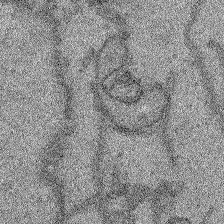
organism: Human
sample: HeLa cells